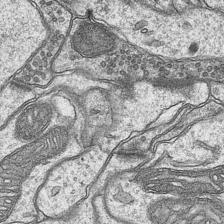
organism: Mouse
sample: CA1 Hippocampus